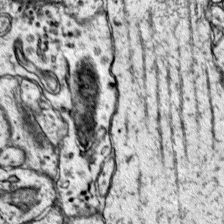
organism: Mouse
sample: Primary visual cortex